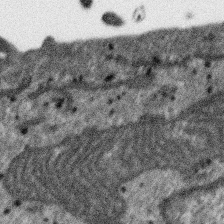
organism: Human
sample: Lung epithelial cells infected with SARS-CoV-2